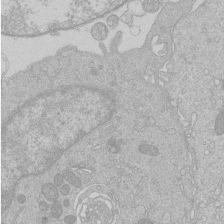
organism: Human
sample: Macrophage cells